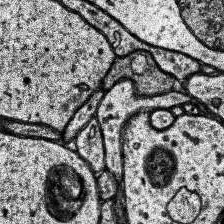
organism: Human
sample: Temporal Lobe